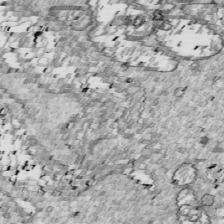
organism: Drosophila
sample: Cell division; meiosis; drosophila spermatocytes